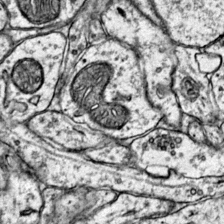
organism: Mouse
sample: Primary visual cortex